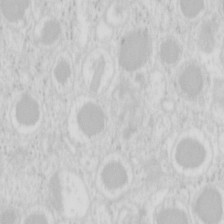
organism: Mouse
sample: Pancreas